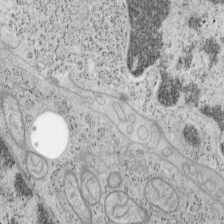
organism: Mouse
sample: OT-I killer T cells with ID8 ovarian cancer cells